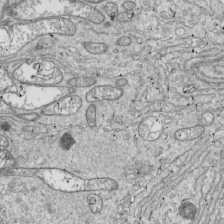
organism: Drosophila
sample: Cell division; meiosis; drosophila spermatocytes